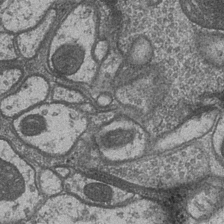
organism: Drosophila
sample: Optic medulla